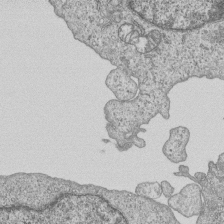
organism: Human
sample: MDA-MB-231 cells